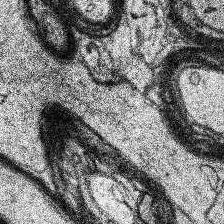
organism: Human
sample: Temporal Lobe